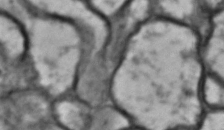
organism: Drosophila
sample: Brain